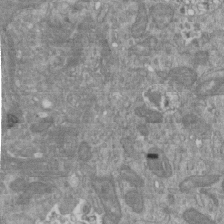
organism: Mouse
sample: ED-1 cell nuclei; centrioles